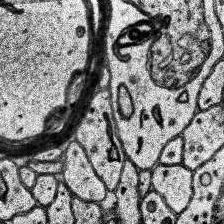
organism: Human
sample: Temporal Lobe